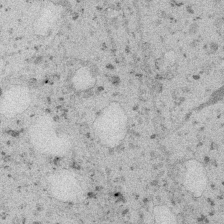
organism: Embia sp.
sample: Silk gland